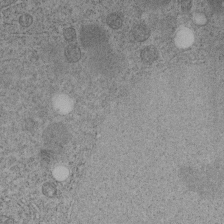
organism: C. elegans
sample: C. elegans embryo early stage